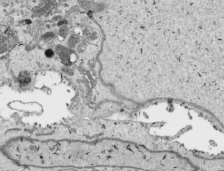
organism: Human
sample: Mitochondria in HCT116 cells